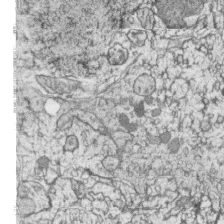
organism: Zebrafish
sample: synaptic ribbons in rod cells and cone cells